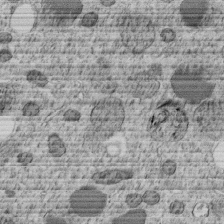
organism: C. elegans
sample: C. elegans embryo early stage